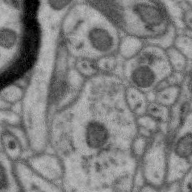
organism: Zebra finch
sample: Brain